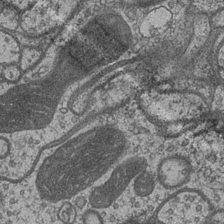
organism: Drosophila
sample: Optic medulla